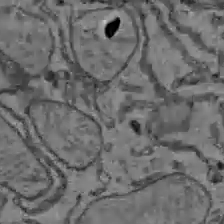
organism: C57BL Mouse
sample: Liver